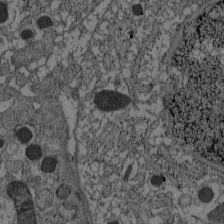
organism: C57BL Mouse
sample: Pancreatic islet